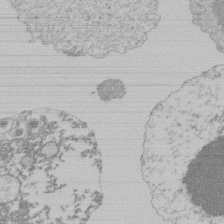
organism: Mouse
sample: Activated Pmel transgenic CD8+ T Cells